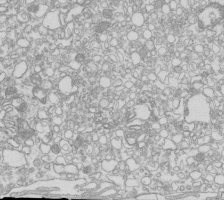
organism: Mouse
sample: Macrophages